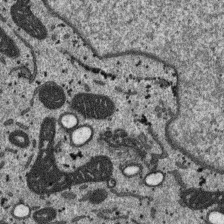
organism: Human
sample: Lung epithelial cells infected with SARS-CoV-2